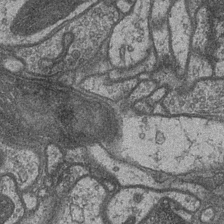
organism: Drosophila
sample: Optic medulla